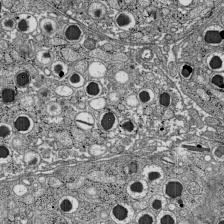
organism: C57BL Mouse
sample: Pancreatic islet